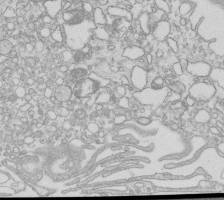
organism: Mouse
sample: Macrophages